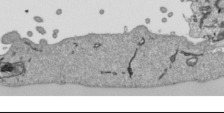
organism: Human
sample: Mitochondria in HCT116 cells